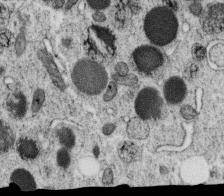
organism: C. elegans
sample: C. elegans oocyte; sperm cells